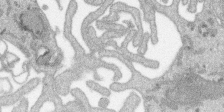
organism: Human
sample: Lung epithelial cells infected with SARS-CoV-2